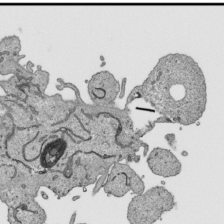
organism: Human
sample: Mitochondria in HCT116 cells